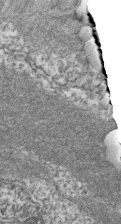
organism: Zebrafish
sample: Cilia; retinal pigment epithelium